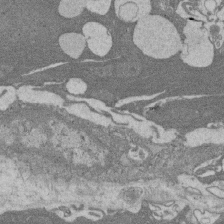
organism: Rat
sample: Salivary granule